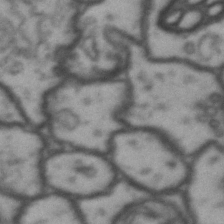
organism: Drosophila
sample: Brain